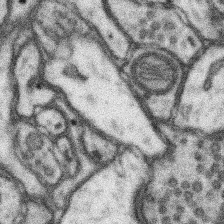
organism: Mouse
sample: Somatosensory cortex neuropil